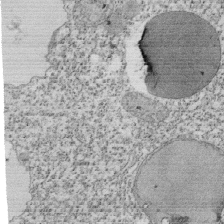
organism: Tetrahymena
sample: Cilia in tetrahymena